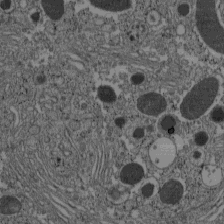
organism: C57BL Mouse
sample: Pancreatic islet